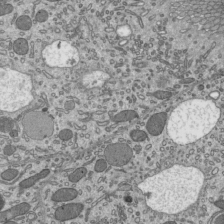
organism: Mouse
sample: Mouse epididymis efferent ductule cilia